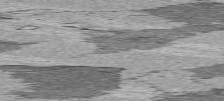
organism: C57BL Mouse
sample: Heart